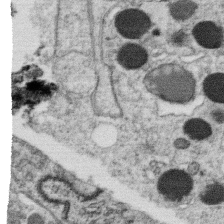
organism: C. elegans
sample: C. elegans oocyte; sperm cells